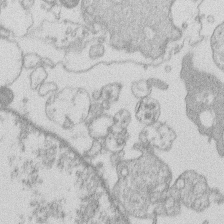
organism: Human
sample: Macrophage cells